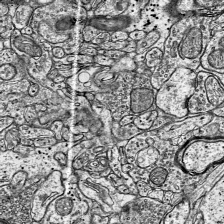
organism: Mouse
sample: Visual Cortex